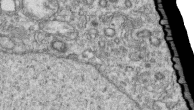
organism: Human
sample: HeLa cell HIV synapse